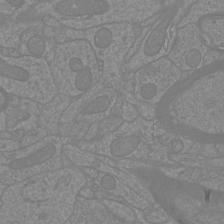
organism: Mouse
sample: Cortical neurons